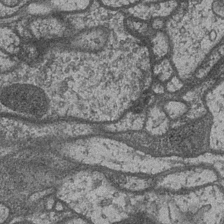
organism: Drosophila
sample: Optic medulla